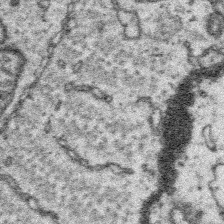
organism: Platynereis dumerilii